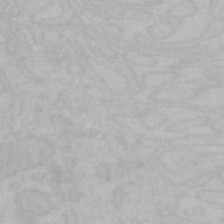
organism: Mouse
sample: Choroid plexus